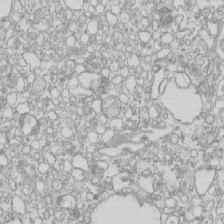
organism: Mouse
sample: Macrophages